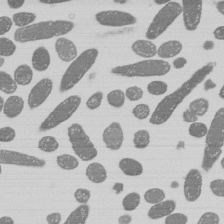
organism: E. coli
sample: Bacterial nucleoid